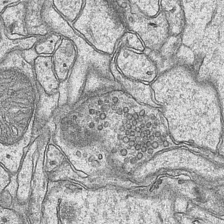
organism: Mouse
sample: CA1 Hippocampus